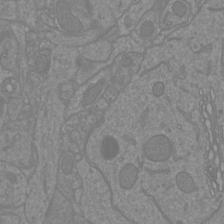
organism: Mouse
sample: Cortical neurons